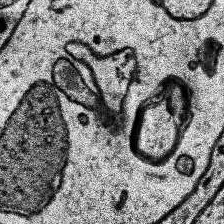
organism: Human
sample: Temporal Lobe